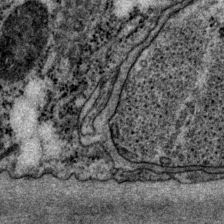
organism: P. pacificus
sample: Pharynx